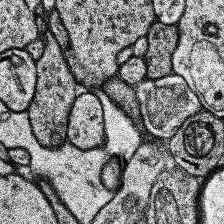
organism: Human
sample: Temporal Lobe